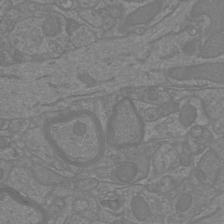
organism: Mouse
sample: Cortical neurons